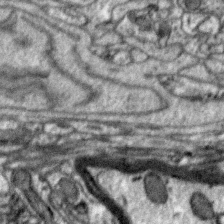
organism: Zebra finch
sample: Brain